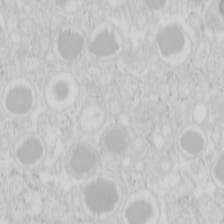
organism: Mouse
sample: Pancreas